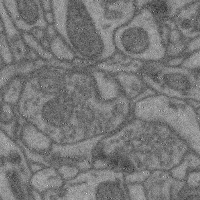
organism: Mouse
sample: Cerebral cortex